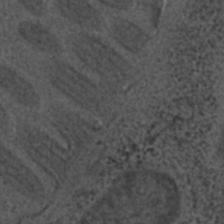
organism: C. elegans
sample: C. elegans embryo